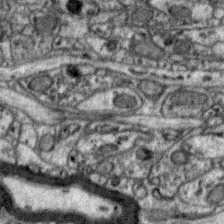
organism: Zebra finch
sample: Brain